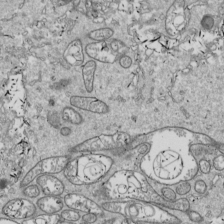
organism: Drosophila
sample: Cell division; meiosis; drosophila spermatocytes